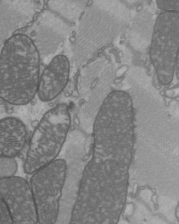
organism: C57BL Mouse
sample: Heart